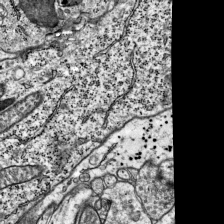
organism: Mouse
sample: Visual Cortex